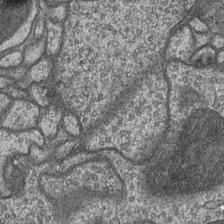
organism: Drosophila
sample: Optic medulla